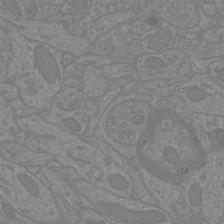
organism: Mouse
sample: Cortical neurons